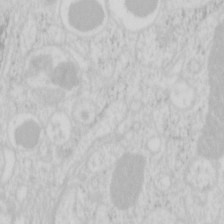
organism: Mouse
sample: Pancreas